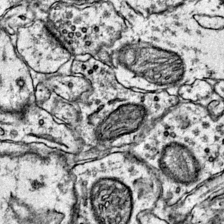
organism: Mouse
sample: Primary visual cortex